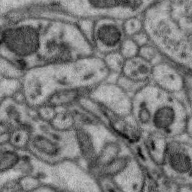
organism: Zebra finch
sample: Brain